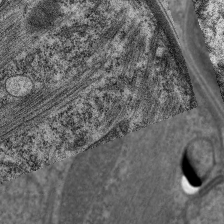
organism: C. elegans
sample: Pharynx